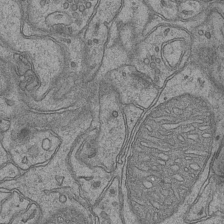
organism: Mouse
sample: CA1 Hippocampus